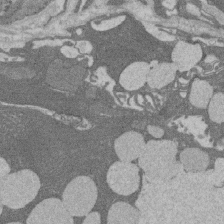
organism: Rat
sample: Salivary granule